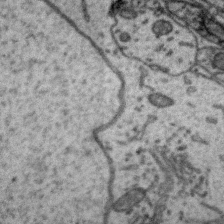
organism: Zebra finch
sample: Brain